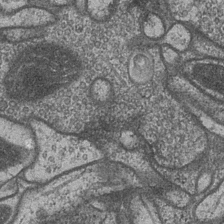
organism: Drosophila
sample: Optic medulla